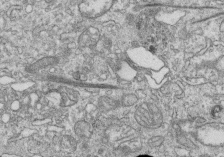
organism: Human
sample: HeLa cell HIV synapse